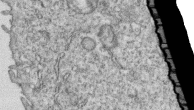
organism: Human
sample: HeLa cell HIV synapse